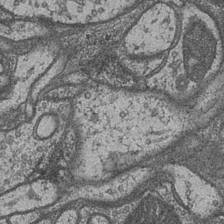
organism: Drosophila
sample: Optic medulla